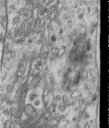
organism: Human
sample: Centriole in RPE cells